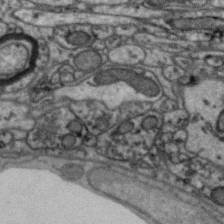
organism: Zebra finch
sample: Brain